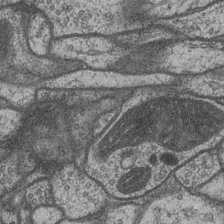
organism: Drosophila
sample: Optic medulla